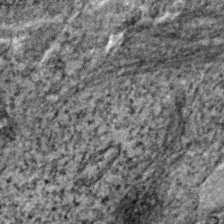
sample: Trachea